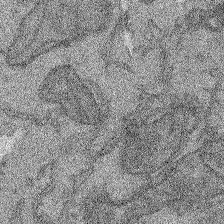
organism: Human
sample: HeLa cells